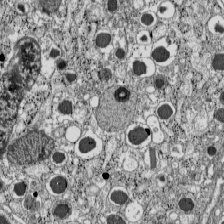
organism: C57BL Mouse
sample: Pancreatic islet